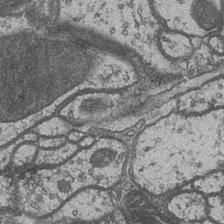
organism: Drosophila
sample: Optic medulla